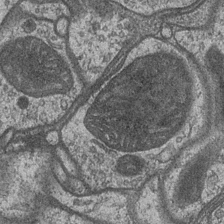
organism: Drosophila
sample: Optic medulla